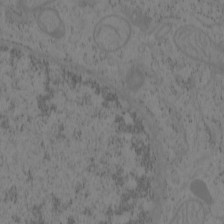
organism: Human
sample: HeLa cells